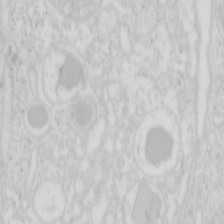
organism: Mouse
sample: Pancreas